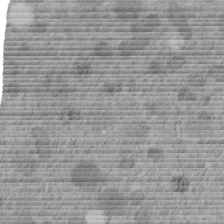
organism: C. elegans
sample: C. elegans embryo early stage